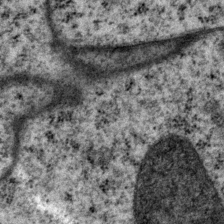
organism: P. pacificus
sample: Pharynx